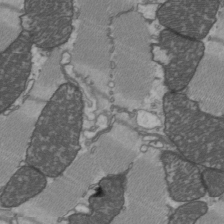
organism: C57BL Mouse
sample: Heart